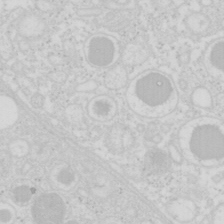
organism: Mouse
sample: Pancreas